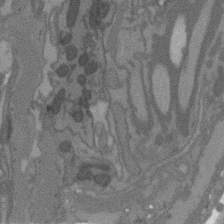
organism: C. elegans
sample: AFD neurons C. elegans